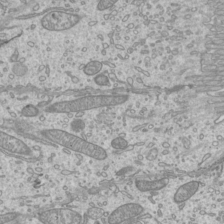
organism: Mouse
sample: Cilia; mouse epididymis